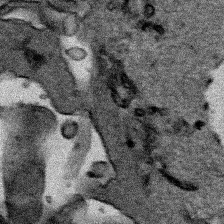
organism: Human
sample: Mitochondria in HCT116 cells